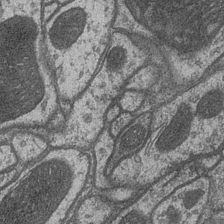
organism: Drosophila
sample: Optic medulla